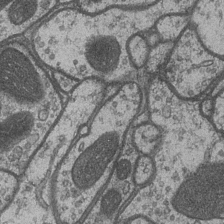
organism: Drosophila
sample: Optic medulla